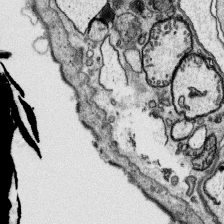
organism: Platynereis dumerilii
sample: Parapodia